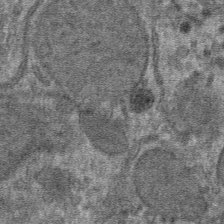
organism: Mouse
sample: Mouse hepatocytes